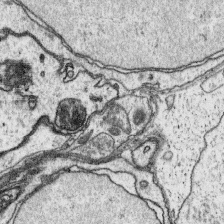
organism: Platynereis dumerilii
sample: Parapodia